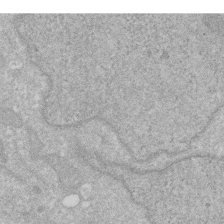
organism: Human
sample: HIV infected U937 cells